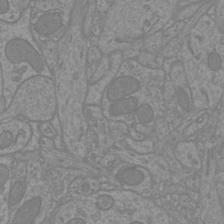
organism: Mouse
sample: Cortical neurons